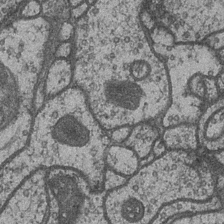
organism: Drosophila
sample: Optic medulla